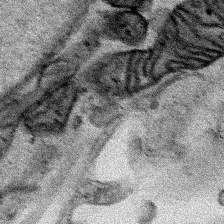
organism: Human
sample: Mitochondria in HCT116 cells